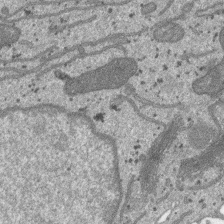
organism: Human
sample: Lung epithelial cells infected with SARS-CoV-2